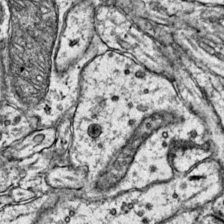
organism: Mouse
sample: Primary visual cortex